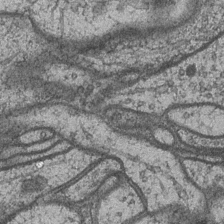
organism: Drosophila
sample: Optic medulla